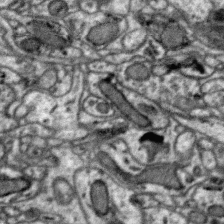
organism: Zebra finch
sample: Brain